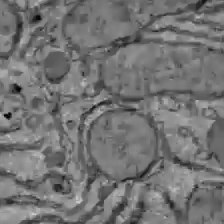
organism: C57BL Mouse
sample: Liver